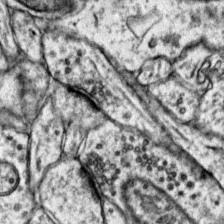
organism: Mouse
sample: Primary visual cortex